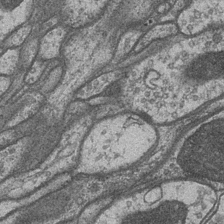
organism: Drosophila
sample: Optic medulla